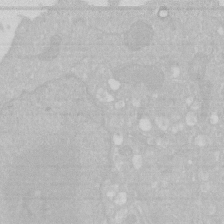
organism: Human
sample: HIV infected U937 cells